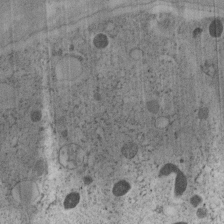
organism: C. elegans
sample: C. elegans embryo early stage